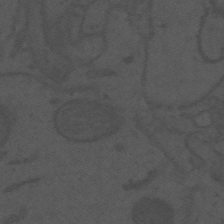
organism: Mouse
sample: Suprachiasmatic nucleus